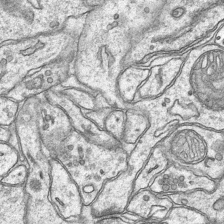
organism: Mouse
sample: CA1 Hippocampus